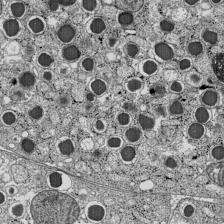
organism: C57BL Mouse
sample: Pancreatic islet